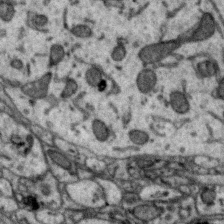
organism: Zebra finch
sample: Brain